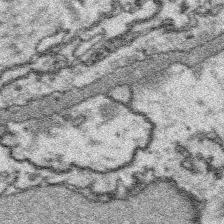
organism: Platynereis dumerilii